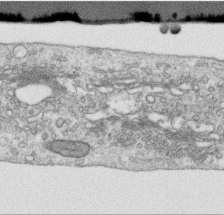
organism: Human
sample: Centriole in RPE cells